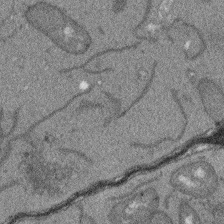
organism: Arabidopsis thaliana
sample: Root tip